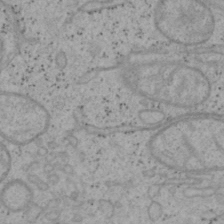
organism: Human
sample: HeLa cells